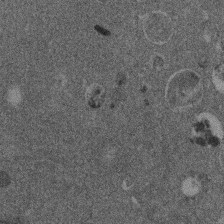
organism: Mouse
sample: Dividing mouse embryo 1 cell stage